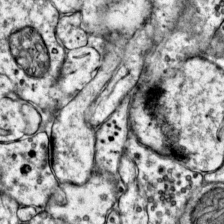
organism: Mouse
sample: Primary visual cortex